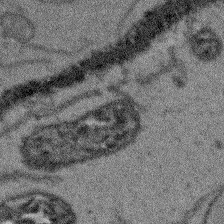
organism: Arabidopsis thaliana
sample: Root tip